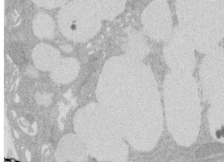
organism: Rat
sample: Salivary granule